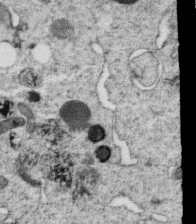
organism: C. elegans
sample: C. elegans oocyte; sperm cells